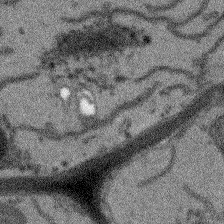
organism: Arabidopsis thaliana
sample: Root tip